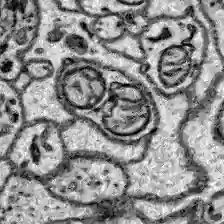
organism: Zebrafish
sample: Brain